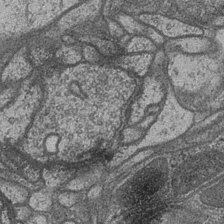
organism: Drosophila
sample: Optic medulla